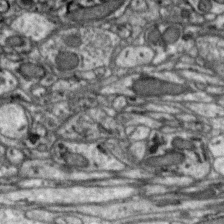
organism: Zebra finch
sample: Brain